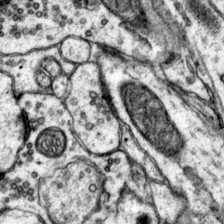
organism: Mouse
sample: Primary visual cortex